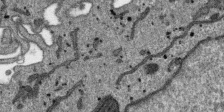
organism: Human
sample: Lung epithelial cells, uninfected (mock) control